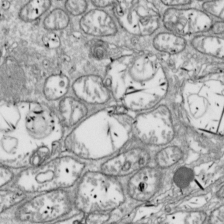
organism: Drosophila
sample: Cell division; meiosis; drosophila spermatocytes